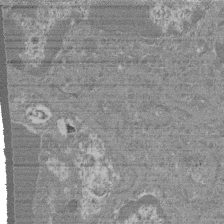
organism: Mouse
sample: Glomerulus